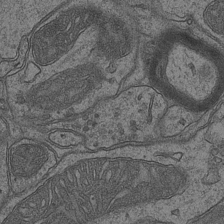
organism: Mouse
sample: CA1 Hippocampus